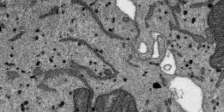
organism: Human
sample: Lung epithelial cells, uninfected (mock) control